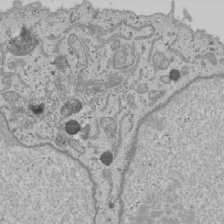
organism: Human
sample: Mitochondria in U2OS cells